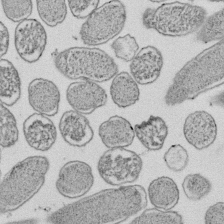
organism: E. coli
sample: Bacterial nucleoid